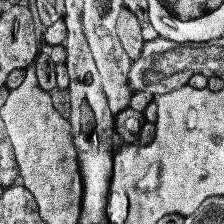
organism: Human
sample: Temporal Lobe